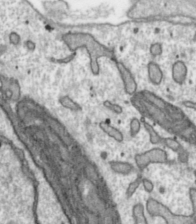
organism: Toxoplasma gondii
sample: Parasites in a vacuole inside a host cell